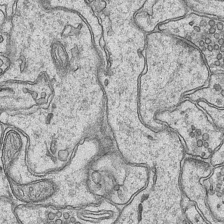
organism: Mouse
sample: CA1 Hippocampus